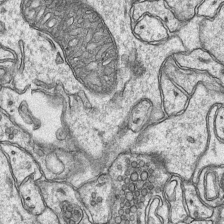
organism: Mouse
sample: CA1 Hippocampus